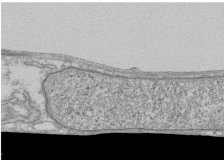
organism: Human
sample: Fibroblast cells